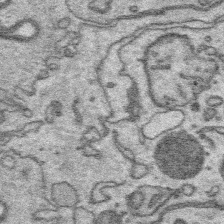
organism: Platynereis dumerilii